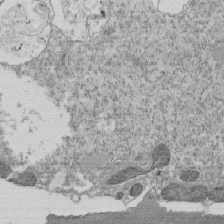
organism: Tetrahymena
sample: Cilia in tetrahymena